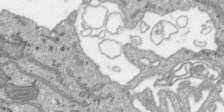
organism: Human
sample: Lung epithelial cells infected with SARS-CoV-2